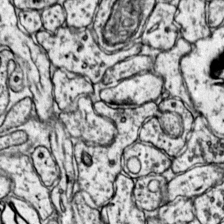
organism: Mouse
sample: Primary visual cortex